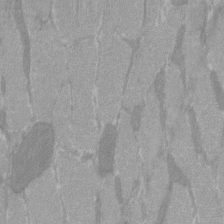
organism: C57BL Mouse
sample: Tibialis anterior muscle cell